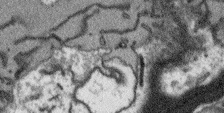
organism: Arabidopsis thaliana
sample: Root tip